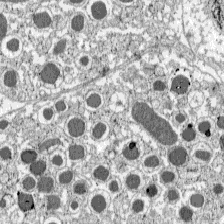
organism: C57BL Mouse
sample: Pancreatic islet